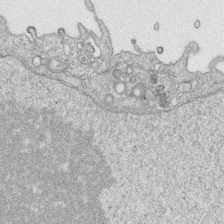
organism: Human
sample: HeLa cell HIV synapse